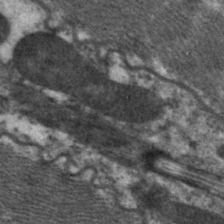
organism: C. elegans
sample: Pharynx